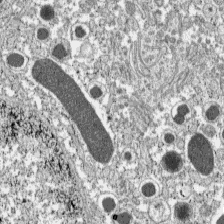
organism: C57BL Mouse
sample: Pancreatic islet